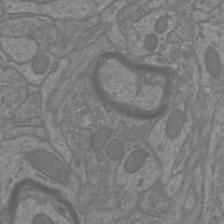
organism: Mouse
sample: Cortical neurons